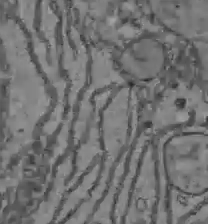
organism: C57BL Mouse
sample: Liver